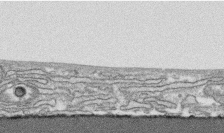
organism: Human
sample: CRL-1474